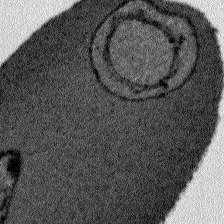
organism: Plasmodium falciparum